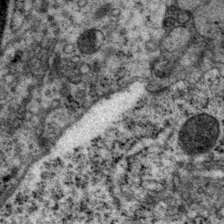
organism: P. pacificus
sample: Pharynx